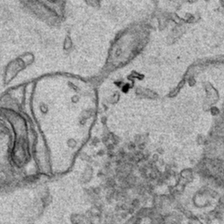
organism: Human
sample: Mitochondria in HCT116 cells